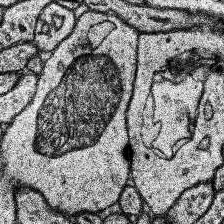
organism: Human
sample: Temporal Lobe